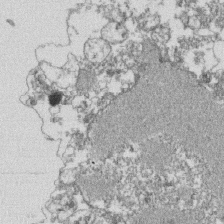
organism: Human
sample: HeLa cell HIV synapse